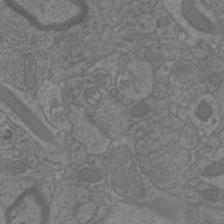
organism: Mouse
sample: Cortical neurons